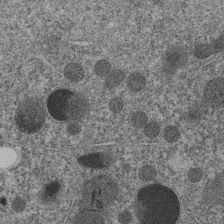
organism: C. elegans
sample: C. elegans embryo early stage